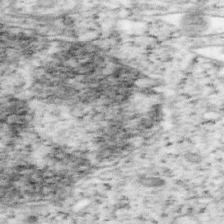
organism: Mouse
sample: OT-I killer T cells with ID8 ovarian cancer cells